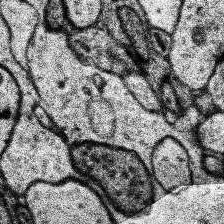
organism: Human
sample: Temporal Lobe